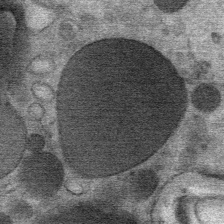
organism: Mouse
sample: Mouse Salivary gland